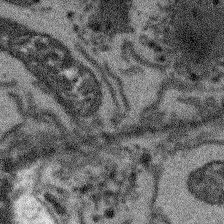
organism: Arabidopsis thaliana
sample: Root tip